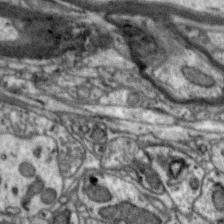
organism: Zebra finch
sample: Brain